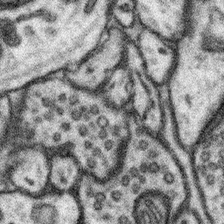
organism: Mouse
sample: Somatosensory cortex neuropil